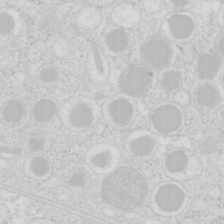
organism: Mouse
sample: Pancreas